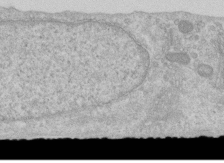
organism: Human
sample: Centriole in RPE cells